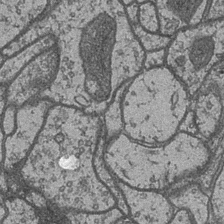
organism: Drosophila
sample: Optic medulla